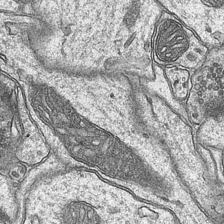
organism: Mouse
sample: CA1 Hippocampus